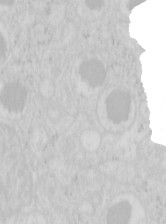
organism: Mouse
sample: Pancreas